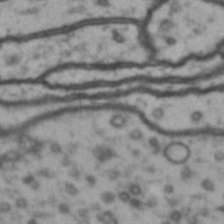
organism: Drosophila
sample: Brain